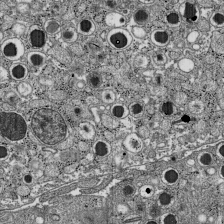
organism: C57BL Mouse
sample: Pancreatic islet